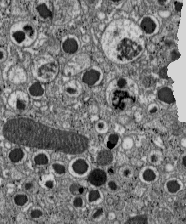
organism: C57BL Mouse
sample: Pancreatic islet